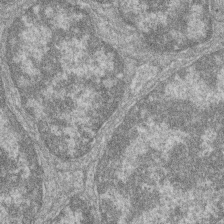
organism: Zebrafish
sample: Cilia; retinal pigment epithelium